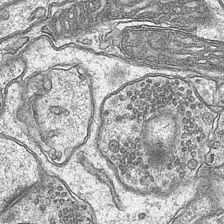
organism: Mouse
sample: CA1 Hippocampus